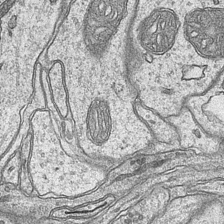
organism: Mouse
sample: CA1 Hippocampus